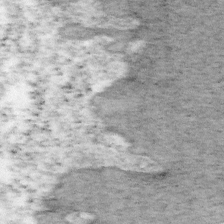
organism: Mouse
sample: OT-I killer T cells with ID8 ovarian cancer cells